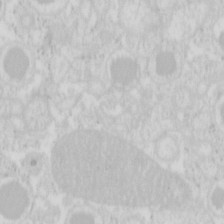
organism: Mouse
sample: Pancreas